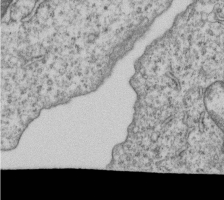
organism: Human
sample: MDA-MB-231 cells